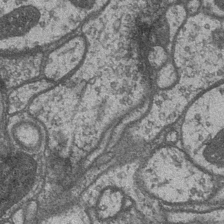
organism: Drosophila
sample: Optic medulla